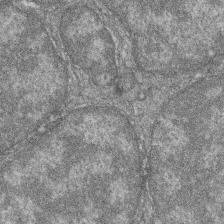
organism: Zebrafish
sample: Cilia; retinal pigment epithelium